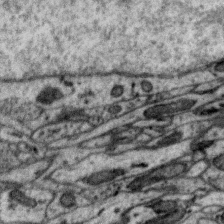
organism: Zebra finch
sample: Brain